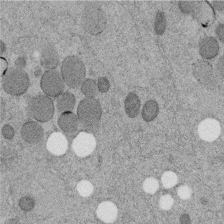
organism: C. elegans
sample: C. elegans embryo early stage